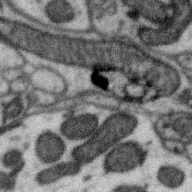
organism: Zebra finch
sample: Brain